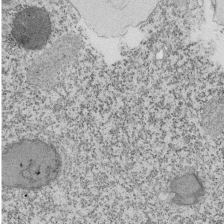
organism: Tetrahymena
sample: Cilia in tetrahymena